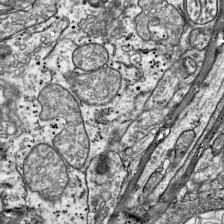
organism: Mouse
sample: Visual Cortex